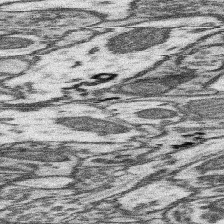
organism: Mouse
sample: Somatosensory cortex neuropil